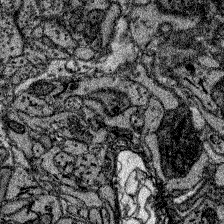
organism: Zebrafish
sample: Larval olfactory bulb